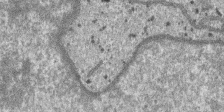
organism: Human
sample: Lung epithelial cells infected with SARS-CoV-2